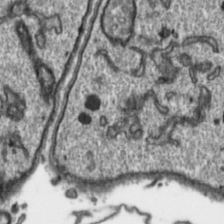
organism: Toxoplasma gondii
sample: Parasites in a vacuole inside a host cell